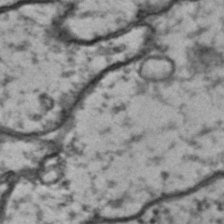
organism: Drosophila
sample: Brain